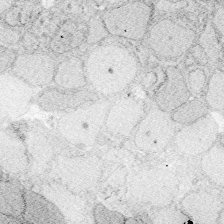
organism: Zebrafish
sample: Whole-Brain